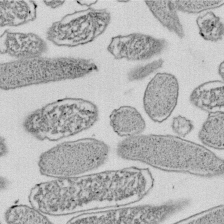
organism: E. coli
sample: Bacterial nucleoid